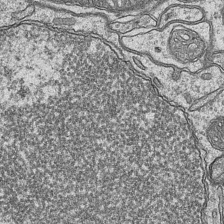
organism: Mouse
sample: CA1 Hippocampus